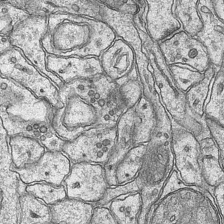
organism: Mouse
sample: CA1 Hippocampus